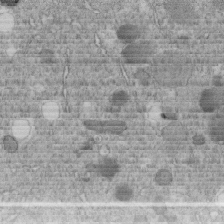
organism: C. elegans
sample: C. elegans embryo early stage